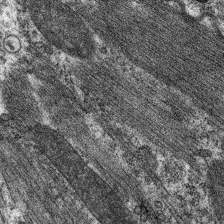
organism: C. elegans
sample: Pharynx